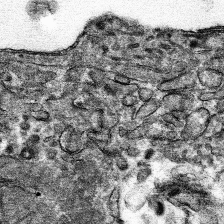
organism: Mouse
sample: Mouse hepatocytes